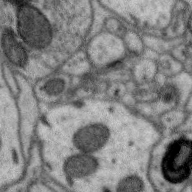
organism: Zebra finch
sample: Brain